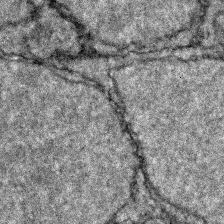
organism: Zebrafish